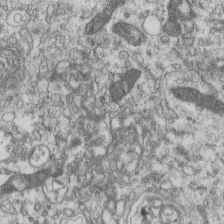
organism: Mouse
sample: Centriole in ependymal cells